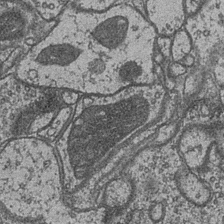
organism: Drosophila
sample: Optic medulla